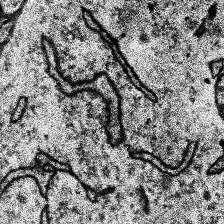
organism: Human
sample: Temporal Lobe